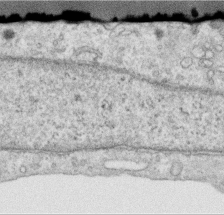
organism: Human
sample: Centriole in RPE cells